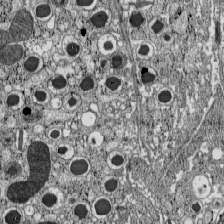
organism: C57BL Mouse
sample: Pancreatic islet